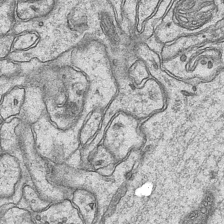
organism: Mouse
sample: CA1 Hippocampus